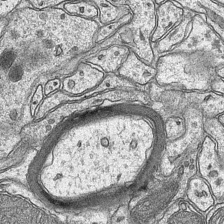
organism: Mouse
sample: CA1 Hippocampus